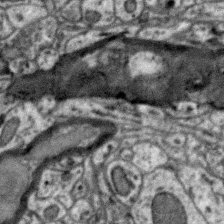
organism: Zebra finch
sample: Brain